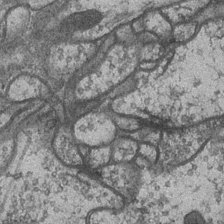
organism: Drosophila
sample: Optic medulla